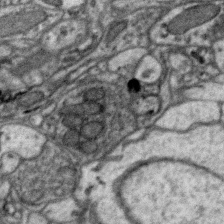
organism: Zebra finch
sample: Brain